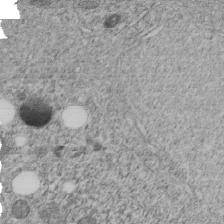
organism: C. elegans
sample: C. elegans embryo early stage